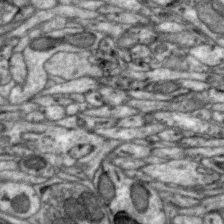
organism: Zebra finch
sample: Brain